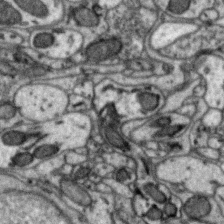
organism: Zebra finch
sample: Brain